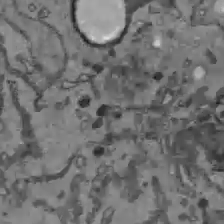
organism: C57BL Mouse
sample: Liver